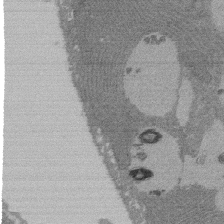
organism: Rat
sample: Salivary granule